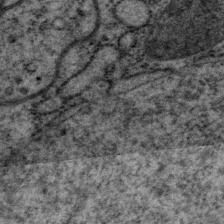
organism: P. pacificus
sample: Pharynx